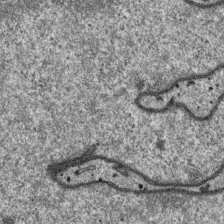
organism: Human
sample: Lung epithelial cells, uninfected (mock) control